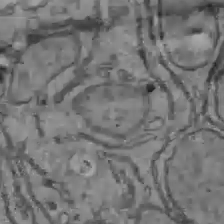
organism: C57BL Mouse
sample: Liver